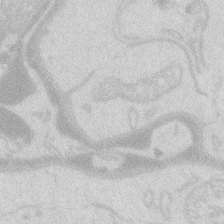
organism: Zebrafish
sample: Macrophage